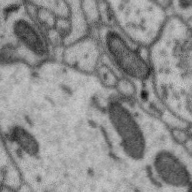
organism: Zebra finch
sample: Brain